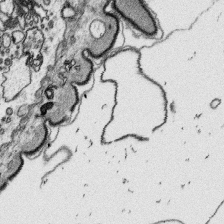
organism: Platynereis dumerilii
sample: Parapodia